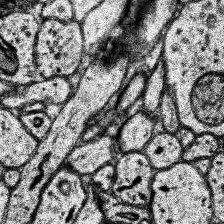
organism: Human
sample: Temporal Lobe